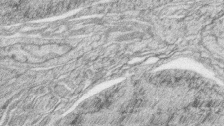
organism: Zebrafish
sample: synaptic ribbons in rod cells and cone cells